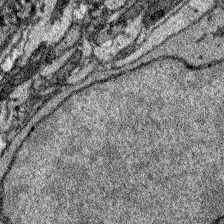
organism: Zebrafish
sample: Larval olfactory bulb